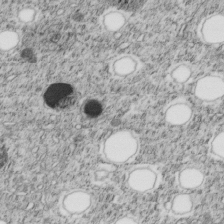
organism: C. elegans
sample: C. elegans embryo early stage